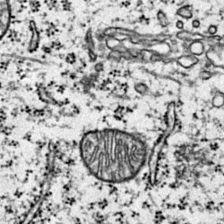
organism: Mouse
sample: Primary visual cortex